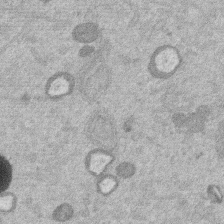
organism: Mouse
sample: Dividing mouse embryo 1 cell stage